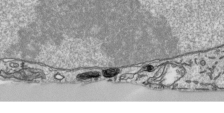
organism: Human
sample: Mitochondria in HCT116 cells